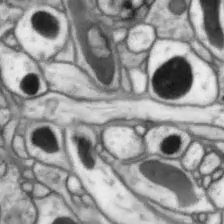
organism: Drosophila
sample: Optic lobe